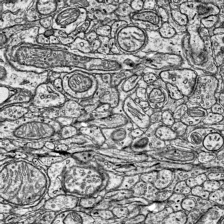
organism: Mouse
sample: Visual Cortex